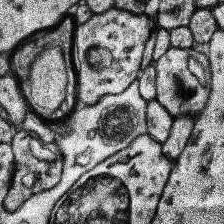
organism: Human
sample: Temporal Lobe